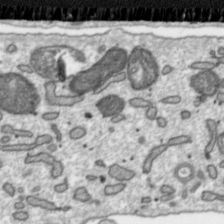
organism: Toxoplasma gondii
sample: Parasites in a vacuole inside a host cell